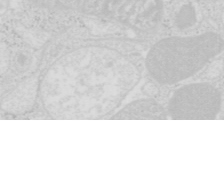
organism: Mouse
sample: Pancreas